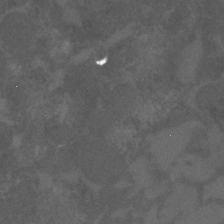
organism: C. elegans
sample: C. elegans embryo